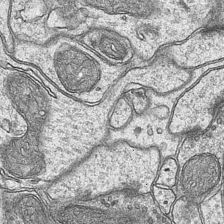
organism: Mouse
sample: CA1 Hippocampus